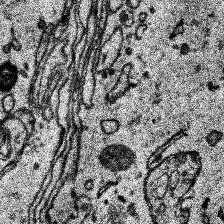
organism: Human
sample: Temporal Lobe